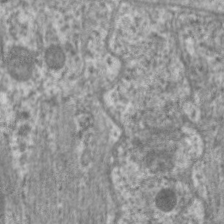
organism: C. elegans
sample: Pharynx